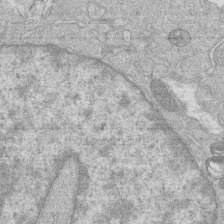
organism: Human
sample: Macrophage cells